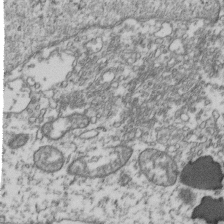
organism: Human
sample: Activated Jurkat CD4+ T cells